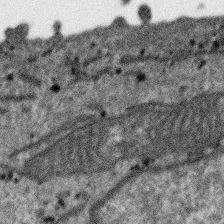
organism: Human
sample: Lung epithelial cells infected with SARS-CoV-2